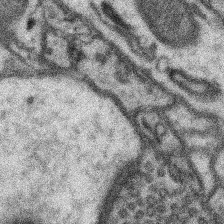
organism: Mouse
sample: Somatosensory cortex neuropil